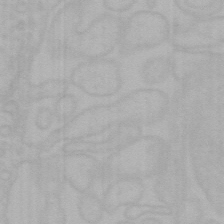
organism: Mouse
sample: Choroid plexus